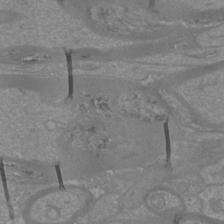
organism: Mouse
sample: Cortical neurons